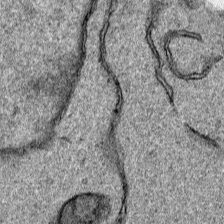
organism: Human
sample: Mitochondria in HCT116 cells